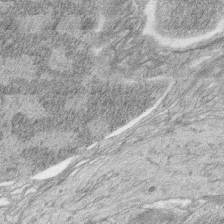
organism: Zebrafish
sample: synaptic ribbons in rod cells and cone cells